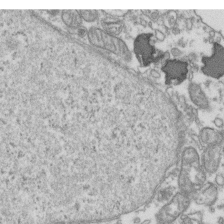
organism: Human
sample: Activated Jurkat CD4+ T cells